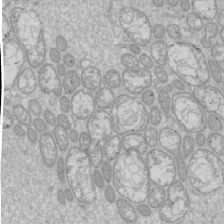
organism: Drosophila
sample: Cell division; meiosis; drosophila spermatocytes